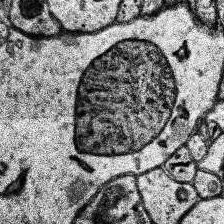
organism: Human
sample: Temporal Lobe